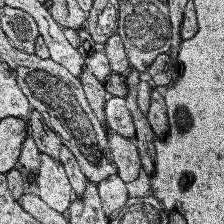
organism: Human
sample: Temporal Lobe